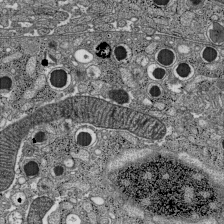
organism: C57BL Mouse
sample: Pancreatic islet